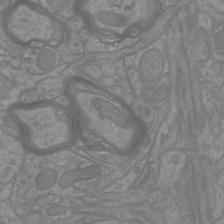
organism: Mouse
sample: Cortical neurons